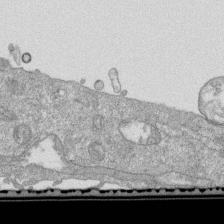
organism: Human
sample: HeLa cell HIV synapse